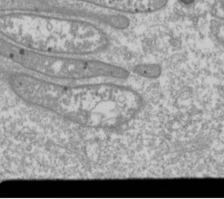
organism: Drosophila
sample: Cell division; meiosis; drosophila spermatocytes